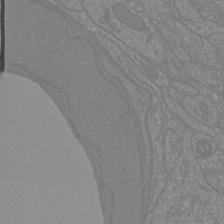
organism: Mouse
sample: Cortical neurons